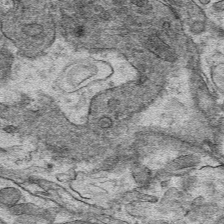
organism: Mouse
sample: Mouse hepatocytes